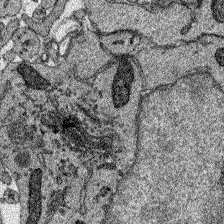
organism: Zebrafish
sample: Larval olfactory bulb